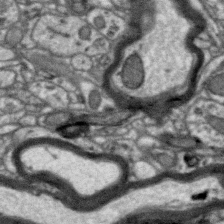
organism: Zebra finch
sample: Brain